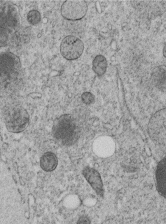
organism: C. elegans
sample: C. elegans embryo early stage